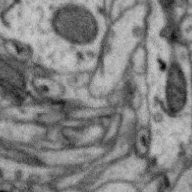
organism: Zebra finch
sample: Brain